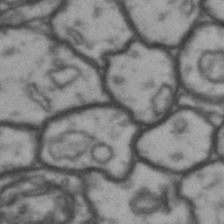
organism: Drosophila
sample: Brain